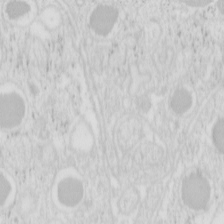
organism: Mouse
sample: Pancreas